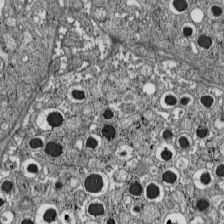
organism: C57BL Mouse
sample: Pancreatic islet